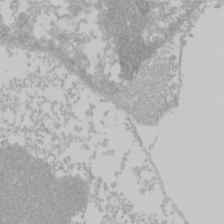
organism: Mouse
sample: Cancer cell death in ED-1 cells